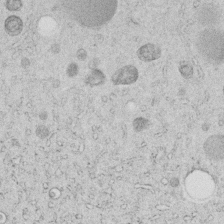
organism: C. elegans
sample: C. elegans embryo early stage